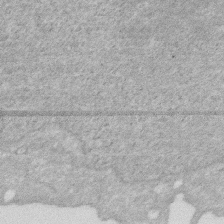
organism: Human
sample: HIV infected U937 cells